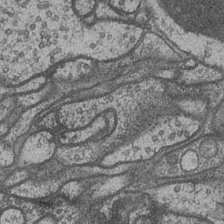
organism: Drosophila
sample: Optic medulla